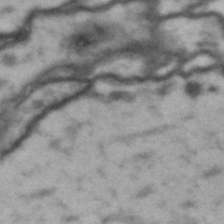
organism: Drosophila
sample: Brain